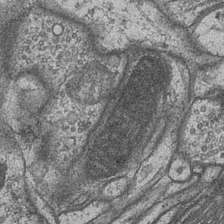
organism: Drosophila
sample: Optic medulla